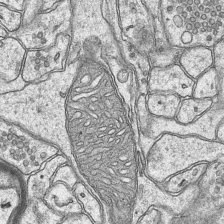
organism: Mouse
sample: CA1 Hippocampus